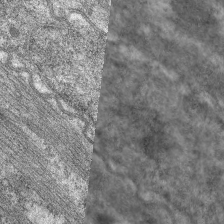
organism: C. elegans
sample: Pharynx